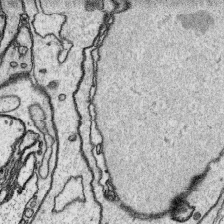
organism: Platynereis dumerilii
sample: Parapodia